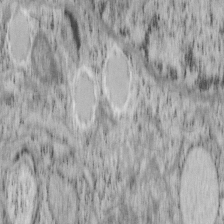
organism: Human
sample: HeLa cells